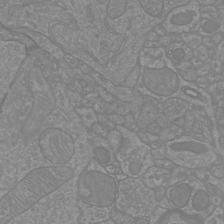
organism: Mouse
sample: Cortical neurons